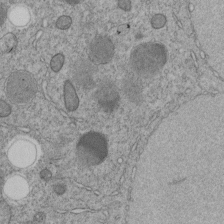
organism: C. elegans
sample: C. elegans embryo early stage